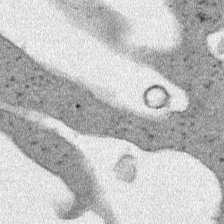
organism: Human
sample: Mitochondria in HCT116 cells